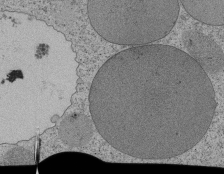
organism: Tetrahymena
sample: Cilia in tetrahymena